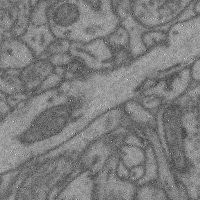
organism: Mouse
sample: Cerebral cortex